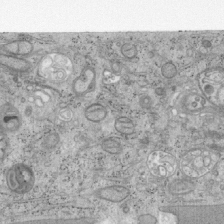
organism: Human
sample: HeLa cells